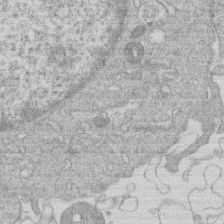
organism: Human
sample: Macrophage cells